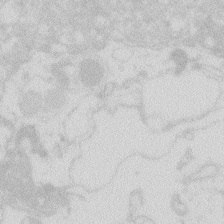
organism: Zebrafish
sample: Macrophage